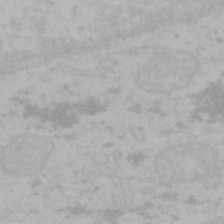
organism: Mouse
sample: Choroid plexus